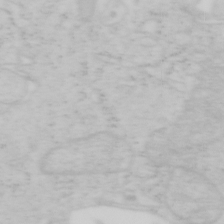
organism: Mouse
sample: OT-I killer T cells with ID8 ovarian cancer cells